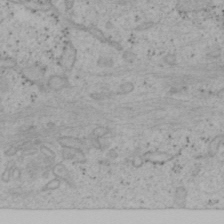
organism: Human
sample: HeLa cells